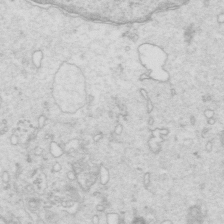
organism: Mouse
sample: Multiciliated cells